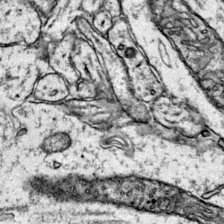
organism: Mouse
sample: Primary visual cortex